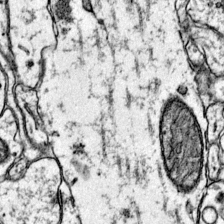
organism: Mouse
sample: Primary visual cortex